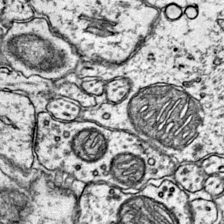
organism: Mouse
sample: Primary visual cortex